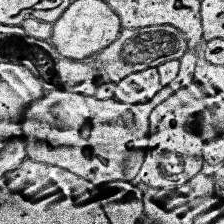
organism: Human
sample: Temporal Lobe